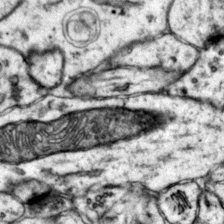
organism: Mouse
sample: Primary visual cortex